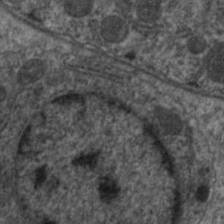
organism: C. elegans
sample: Pharynx